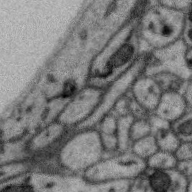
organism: Zebra finch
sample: Brain